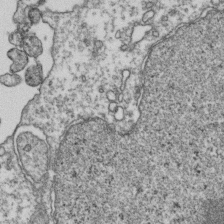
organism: Human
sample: Activated Jurkat CD4+ T cells